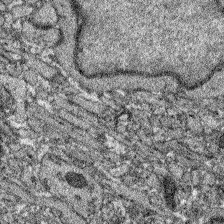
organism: Zebrafish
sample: Larval olfactory bulb